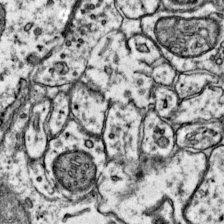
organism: Mouse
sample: Primary visual cortex